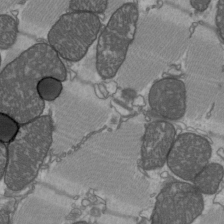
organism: C57BL Mouse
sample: Heart